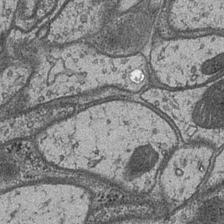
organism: Drosophila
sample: Optic medulla